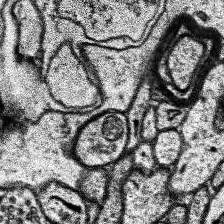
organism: Human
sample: Temporal Lobe